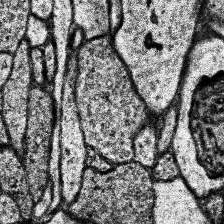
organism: Human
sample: Temporal Lobe